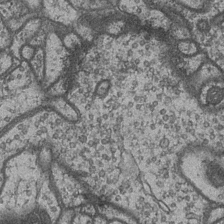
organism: Drosophila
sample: Optic medulla